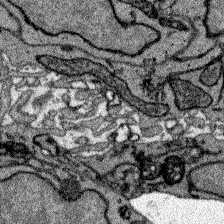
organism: Zebrafish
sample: Larval olfactory bulb